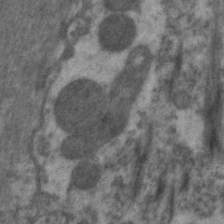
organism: C. elegans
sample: Pharynx